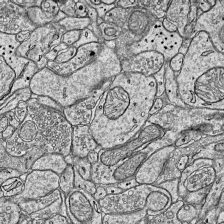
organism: Mouse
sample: Visual Cortex